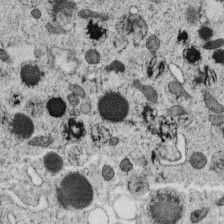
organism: C. elegans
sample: C. elegans oocyte; sperm cells